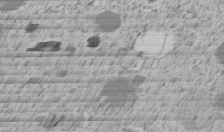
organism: C. elegans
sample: C. elegans embryo early stage